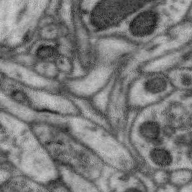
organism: Zebra finch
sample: Brain